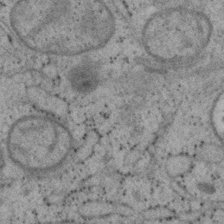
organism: Human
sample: HeLa cells